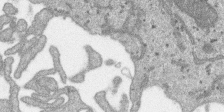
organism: Human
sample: Lung epithelial cells infected with SARS-CoV-2